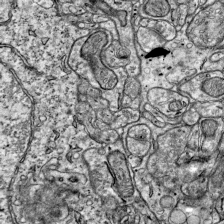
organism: Mouse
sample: Visual Cortex